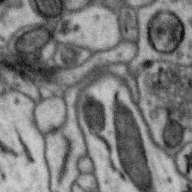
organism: Zebra finch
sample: Brain